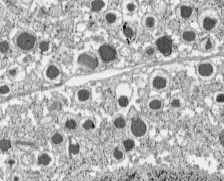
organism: C57BL Mouse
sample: Pancreatic islet